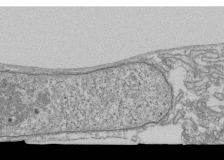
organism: Human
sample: Fibroblast cells